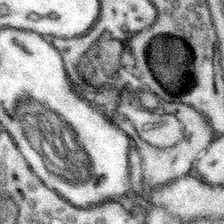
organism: Mouse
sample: Somatosensory cortex neuropil